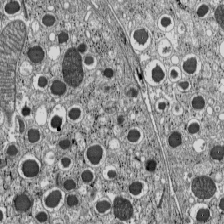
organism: C57BL Mouse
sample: Pancreatic islet